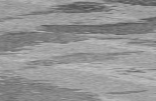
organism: C57BL Mouse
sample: Heart